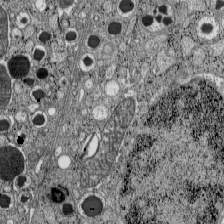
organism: C57BL Mouse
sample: Pancreatic islet